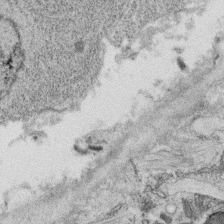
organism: C. elegans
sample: C. elegans oocyte; sperm cells